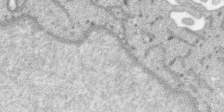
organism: Human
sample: Lung epithelial cells infected with SARS-CoV-2